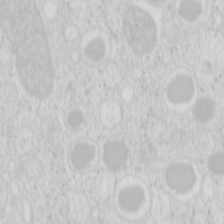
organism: Mouse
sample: Pancreas